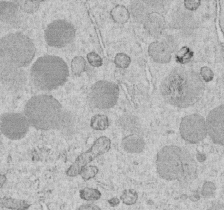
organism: C. elegans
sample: C. elegans embryo early stage